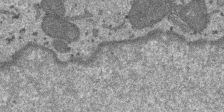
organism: Human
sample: Lung epithelial cells infected with SARS-CoV-2